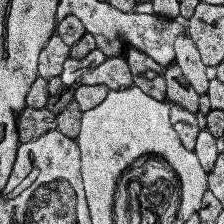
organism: Human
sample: Temporal Lobe